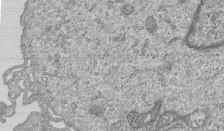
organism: Human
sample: MDA-MB-231 cells